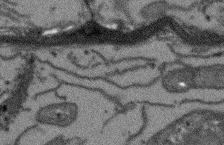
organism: Arabidopsis thaliana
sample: Root tip